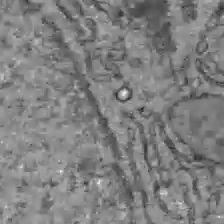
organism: C57BL Mouse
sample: Liver